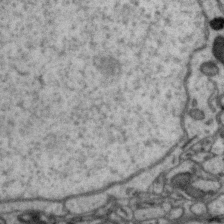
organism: Zebra finch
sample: Brain